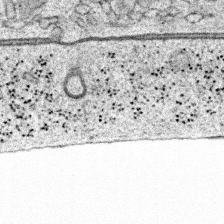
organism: Human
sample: HeLa cells